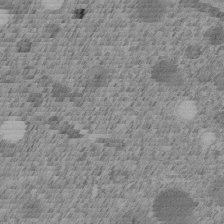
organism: C. elegans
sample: C. elegans embryo early stage